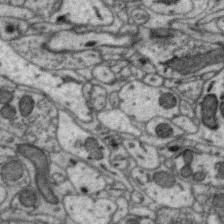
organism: Zebra finch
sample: Brain